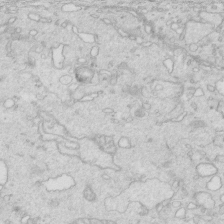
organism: Mouse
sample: Multiciliated cells